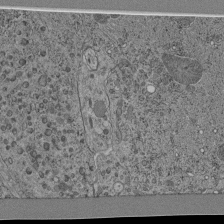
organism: C. elegans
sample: C. elegans pharynx